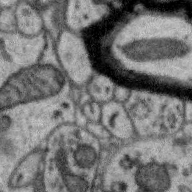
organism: Zebra finch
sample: Brain